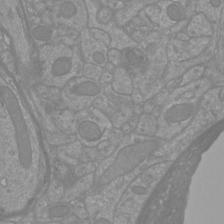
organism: Mouse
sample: Cortical neurons